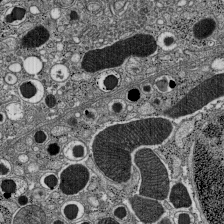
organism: C57BL Mouse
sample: Pancreatic islet